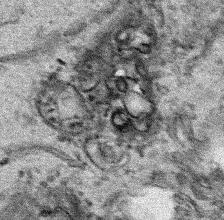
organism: Human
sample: Mitochondria in HCT116 cells